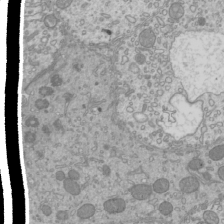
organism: Mouse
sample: Cilia; mouse epididymis